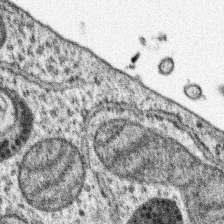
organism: Human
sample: HeLa cells